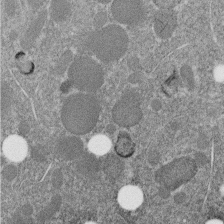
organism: C. elegans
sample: C. elegans embryo early stage